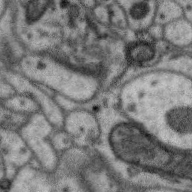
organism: Zebra finch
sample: Brain